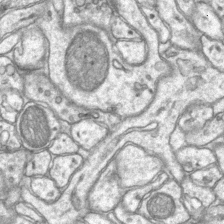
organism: Mouse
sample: CA1 Hippocampus